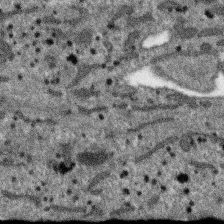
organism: Human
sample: Lung epithelial cells infected with SARS-CoV-2